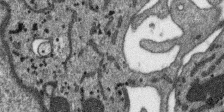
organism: Human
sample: Lung epithelial cells infected with SARS-CoV-2